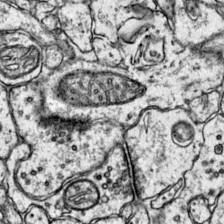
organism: Mouse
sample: Primary visual cortex